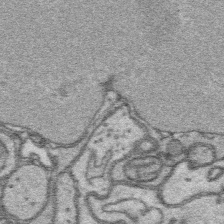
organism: Platynereis dumerilii